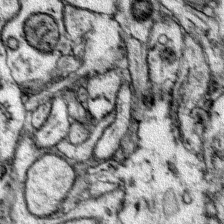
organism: Mouse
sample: Primary visual cortex